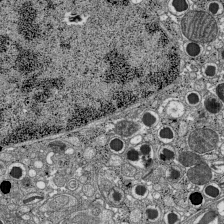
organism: C57BL Mouse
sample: Pancreatic islet